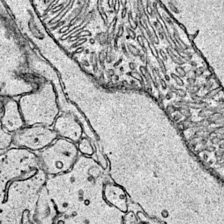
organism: Mouse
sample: Primary visual cortex